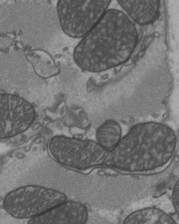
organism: C57BL Mouse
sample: Heart